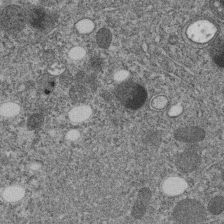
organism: C. elegans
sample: C. elegans embryo early stage